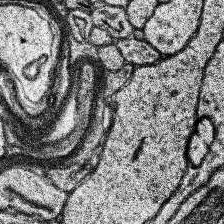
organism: Human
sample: Temporal Lobe